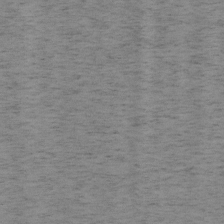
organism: Mouse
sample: OT-I killer T cells with ID8 ovarian cancer cells